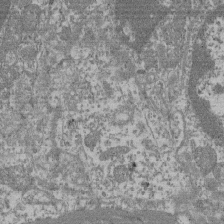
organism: Mouse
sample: Glomerulus